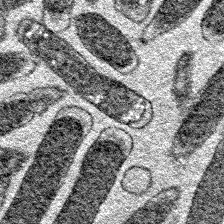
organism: E. coli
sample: E. Coli Bacteria